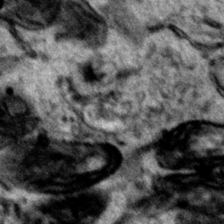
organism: Human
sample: Mitochondria in HCT116 cells